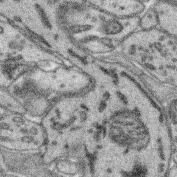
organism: Mouse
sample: Retina